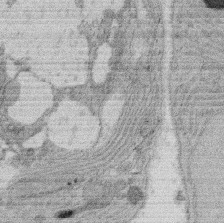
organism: Rat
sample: Salivary granule